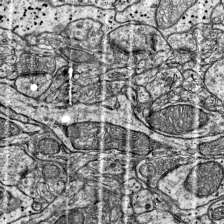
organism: Mouse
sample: Visual Cortex